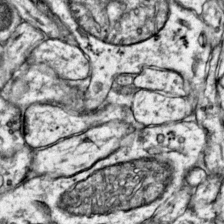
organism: Mouse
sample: Primary visual cortex